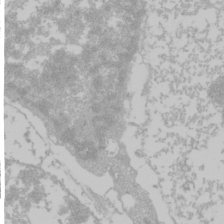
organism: Mouse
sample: Cancer cell death in ED-1 cells